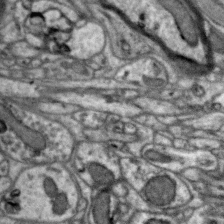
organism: Zebra finch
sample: Brain